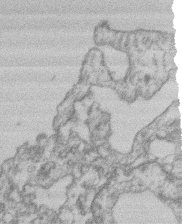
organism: Mouse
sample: T cell stromal cell synapse